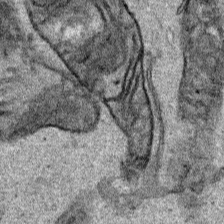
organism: Human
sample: Mitochondria in HCT116 cells